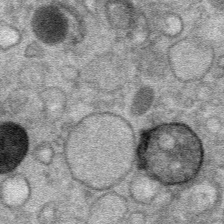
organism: Mouse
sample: Mouse Salivary gland